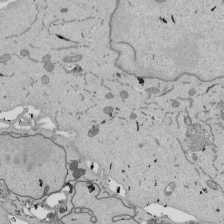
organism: Mouse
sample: ED-1 cell nuclei; centrioles